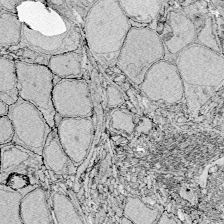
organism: Zebrafish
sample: Whole-Brain